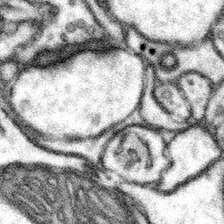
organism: Mouse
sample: Somatosensory cortex neuropil